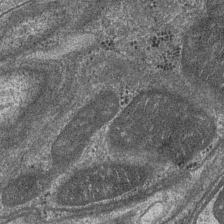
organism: Drosophila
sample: Optic medulla